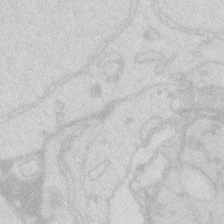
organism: Zebrafish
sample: Macrophage